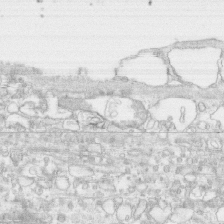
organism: Human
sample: CRL-1474